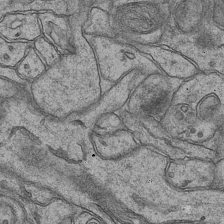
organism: Mouse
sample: CA1 Hippocampus